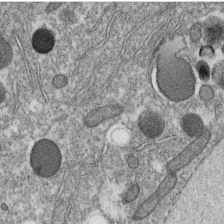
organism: C. elegans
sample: C. elegans oocyte; sperm cells